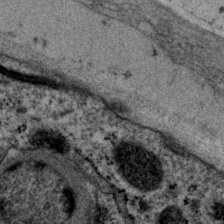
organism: P. pacificus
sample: Pharynx